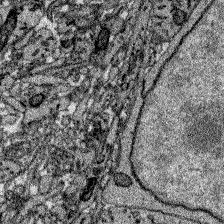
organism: Zebrafish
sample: Larval olfactory bulb